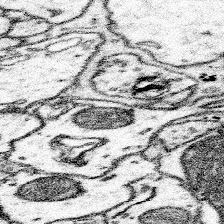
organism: Mouse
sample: Somatosensory cortex neuropil